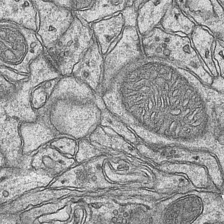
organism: Mouse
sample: CA1 Hippocampus